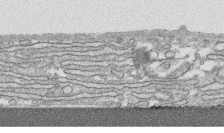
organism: Human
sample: CRL-1474